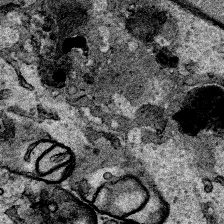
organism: Human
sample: Mitochondria in HCT116 cells